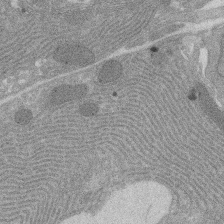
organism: Rat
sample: Salivary granule